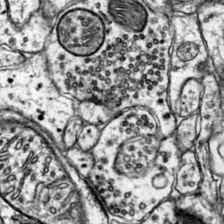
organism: Mouse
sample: Primary visual cortex